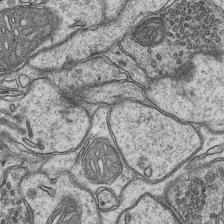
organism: Mouse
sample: CA1 Hippocampus